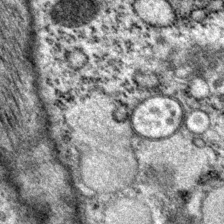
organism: P. pacificus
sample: Pharynx